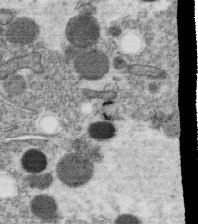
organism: C. elegans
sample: C. elegans oocyte; sperm cells